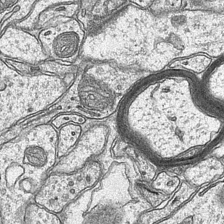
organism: Mouse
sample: CA1 Hippocampus